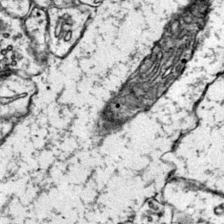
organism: Mouse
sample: Primary visual cortex